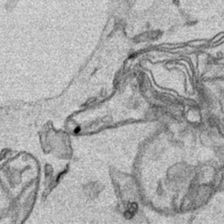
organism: Human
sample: Mitochondria in HCT116 cells